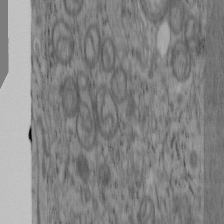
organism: Human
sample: HeLa cells